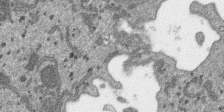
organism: Human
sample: Lung epithelial cells infected with SARS-CoV-2